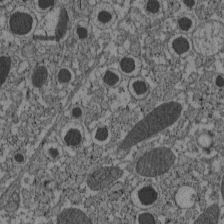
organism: C57BL Mouse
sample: Pancreatic islet